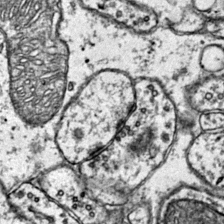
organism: Mouse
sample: Primary visual cortex